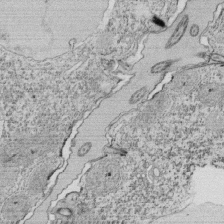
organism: Tetrahymena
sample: Cilia in tetrahymena